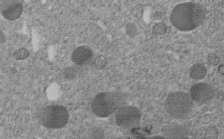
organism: C. elegans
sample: C. elegans embryo early stage